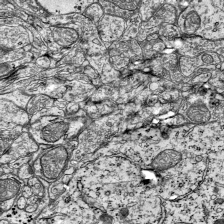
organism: Mouse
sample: Visual Cortex